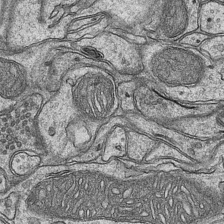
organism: Mouse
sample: CA1 Hippocampus